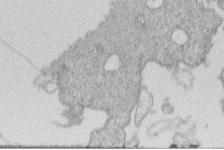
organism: Human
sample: Macrophage cells